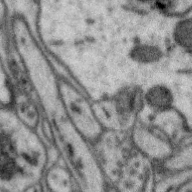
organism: Zebra finch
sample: Brain